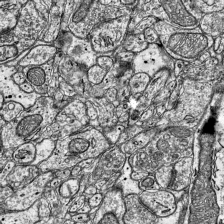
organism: Mouse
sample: Visual Cortex